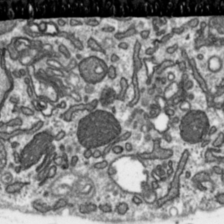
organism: Toxoplasma gondii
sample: Parasites in a vacuole inside a host cell